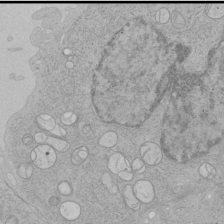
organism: Human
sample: Mitochondria in HCT116 cells